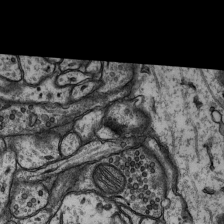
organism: Rat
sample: Hippocampus